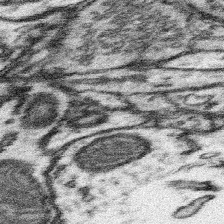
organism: Mouse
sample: Somatosensory cortex neuropil